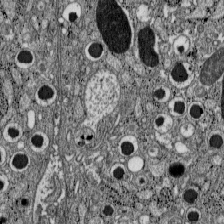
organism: C57BL Mouse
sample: Pancreatic islet